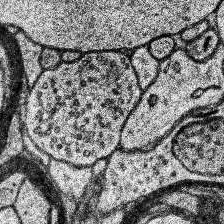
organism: Human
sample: Temporal Lobe